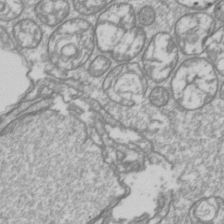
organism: Drosophila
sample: Cell division; meiosis; drosophila spermatocytes